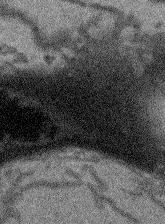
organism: Arabidopsis thaliana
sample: Root tip